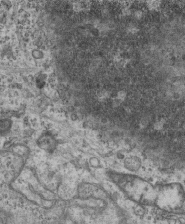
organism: Mouse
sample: Centriole in ependymal cells